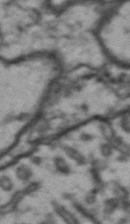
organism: Drosophila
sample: Brain